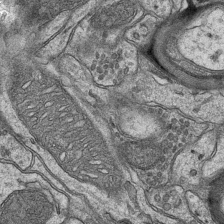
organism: Mouse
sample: CA1 Hippocampus